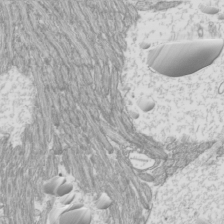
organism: Mouse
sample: Cilia; mouse epididymis